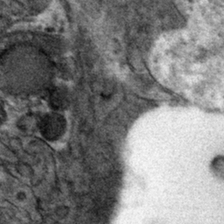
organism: Mouse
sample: Mouse hepatocytes